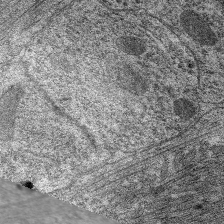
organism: C. elegans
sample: Pharynx